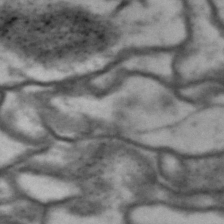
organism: Drosophila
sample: Brain